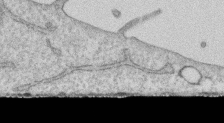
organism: Human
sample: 1205lu cells